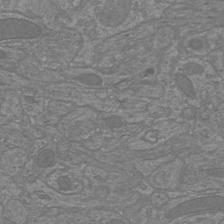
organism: Mouse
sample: Cortical neurons